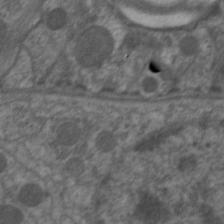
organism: C. elegans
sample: Pharynx